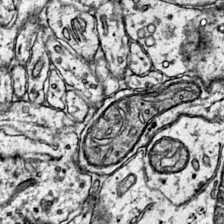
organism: Mouse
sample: Primary visual cortex